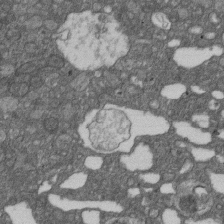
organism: Drosophila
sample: Nephrocyte